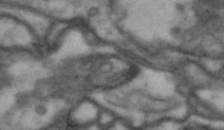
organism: Drosophila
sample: Brain